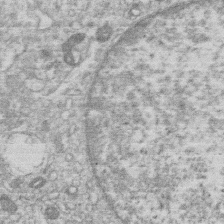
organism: Human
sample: Macrophage cells